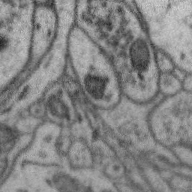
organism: Zebra finch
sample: Brain